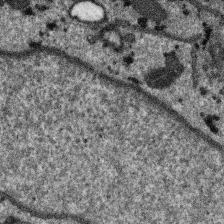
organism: Human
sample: Lung epithelial cells infected with SARS-CoV-2